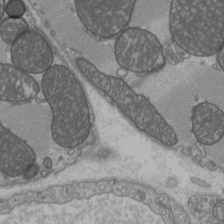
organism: C57BL Mouse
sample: Heart